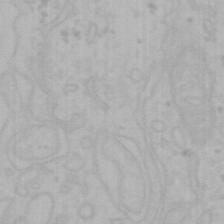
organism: Mouse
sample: Choroid plexus